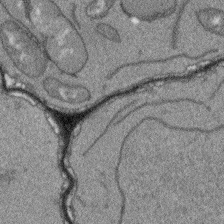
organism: Arabidopsis thaliana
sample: Root tip